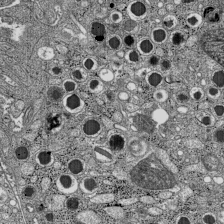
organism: C57BL Mouse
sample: Pancreatic islet